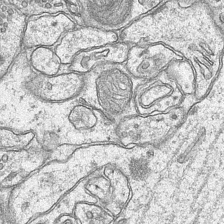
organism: Mouse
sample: CA1 Hippocampus